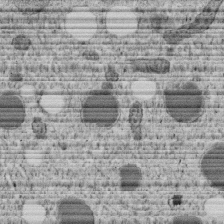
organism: C. elegans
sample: C. elegans embryo early stage